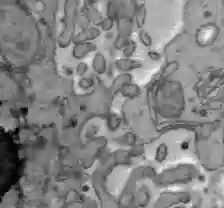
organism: C57BL Mouse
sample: Liver